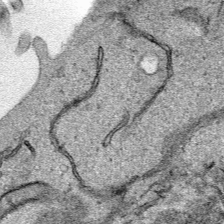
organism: Human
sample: Mitochondria in HCT116 cells